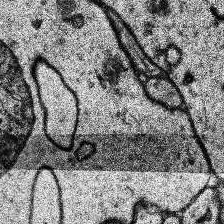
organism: Human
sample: Temporal Lobe